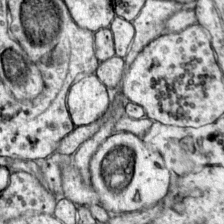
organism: Mouse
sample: Primary visual cortex